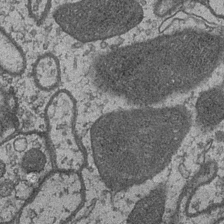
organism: Drosophila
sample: Optic medulla